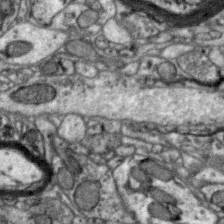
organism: Zebra finch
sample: Brain